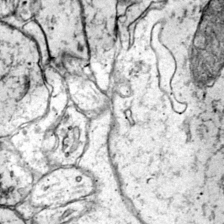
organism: Mouse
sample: Primary visual cortex